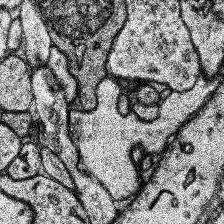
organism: Human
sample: Temporal Lobe